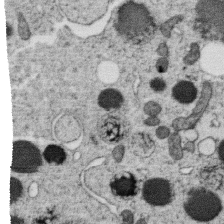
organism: C. elegans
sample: C. elegans oocyte; sperm cells